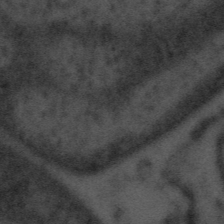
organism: Tuwongella immobilis